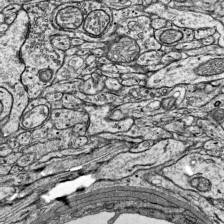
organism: Mouse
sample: Visual Cortex